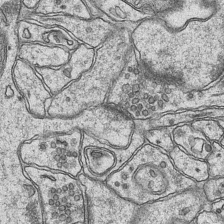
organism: Mouse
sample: CA1 Hippocampus